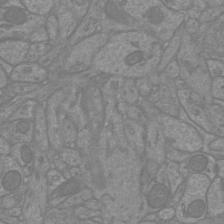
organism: Mouse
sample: Cortical neurons